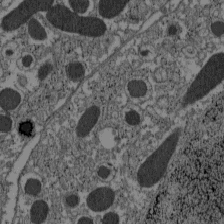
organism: C57BL Mouse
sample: Pancreatic islet